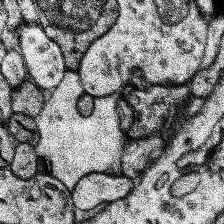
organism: Human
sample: Temporal Lobe